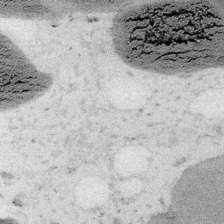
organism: Embia sp.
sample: Silk gland